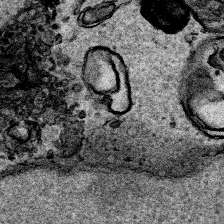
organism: Human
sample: Mitochondria in HCT116 cells